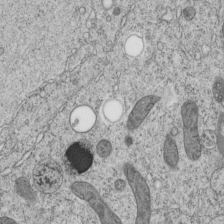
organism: C. elegans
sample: C. elegans embryo early stage